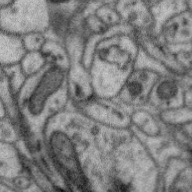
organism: Zebra finch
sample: Brain